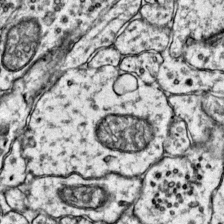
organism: Mouse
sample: Primary visual cortex